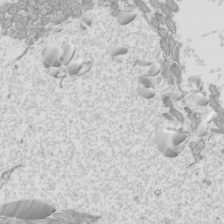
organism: Mouse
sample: Cilia; mouse epididymis